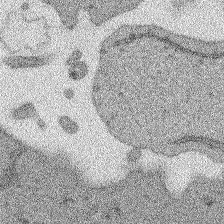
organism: Human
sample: HeLa cells